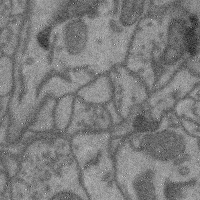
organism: Mouse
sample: Cerebral cortex